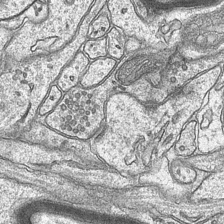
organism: Mouse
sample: CA1 Hippocampus